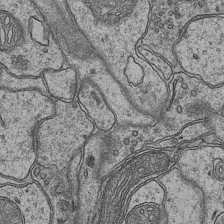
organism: Mouse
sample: CA1 Hippocampus